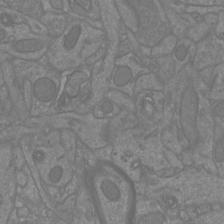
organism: Mouse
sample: Cortical neurons